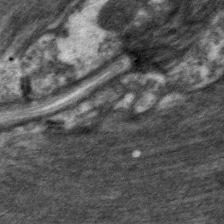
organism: C. elegans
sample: Pharynx